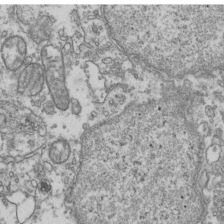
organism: Human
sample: Activated Jurkat CD4+ T cells